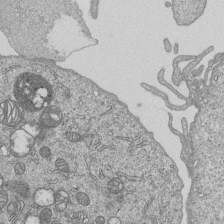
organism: Human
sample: MDA-MB-231 cells